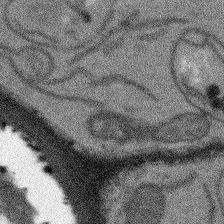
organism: Arabidopsis thaliana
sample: Root tip